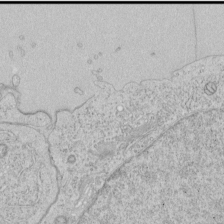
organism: Human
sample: Mitochondria in HCT116 cells